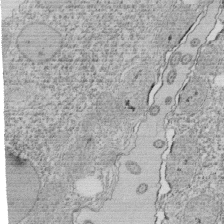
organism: Tetrahymena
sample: Cilia in tetrahymena